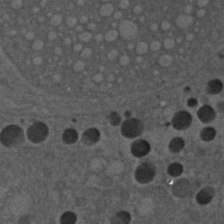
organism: C. elegans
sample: C. elegans embryo